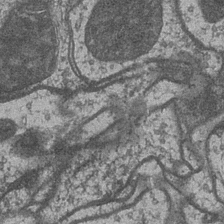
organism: Drosophila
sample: Optic medulla